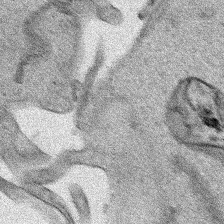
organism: Human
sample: Mitochondria in HCT116 cells